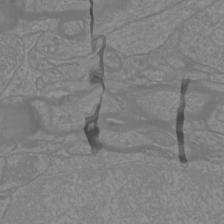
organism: Mouse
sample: Cortical neurons